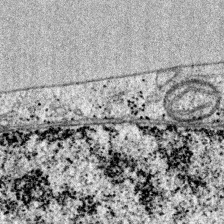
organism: Human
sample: HeLa cells